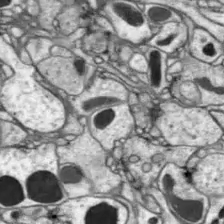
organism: Drosophila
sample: Optic lobe